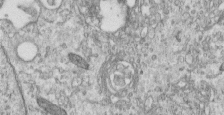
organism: Human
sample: Centriole in RPE cells